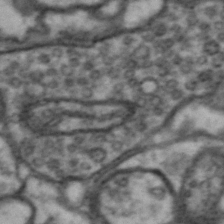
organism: Drosophila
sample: Brain